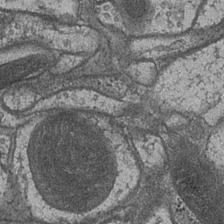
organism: Drosophila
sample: Optic medulla